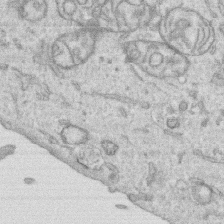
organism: Human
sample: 1205lu cells